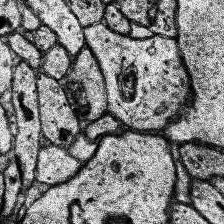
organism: Human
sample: Temporal Lobe